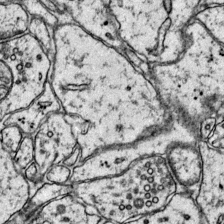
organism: Mouse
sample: Primary visual cortex